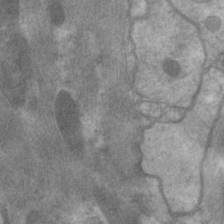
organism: C. elegans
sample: Pharynx